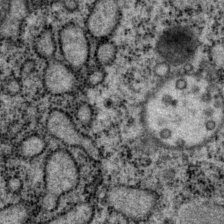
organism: P. pacificus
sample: Pharynx